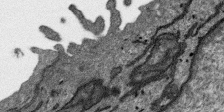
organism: Human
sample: Lung epithelial cells, uninfected (mock) control